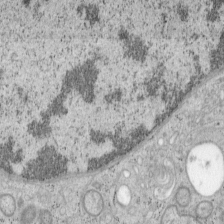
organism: Mouse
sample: OT-I killer T cells with ID8 ovarian cancer cells